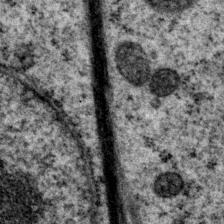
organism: P. pacificus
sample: Pharynx